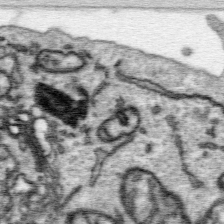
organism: Human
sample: HeLa cells